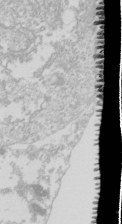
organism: Drosophila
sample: Cell division; meiosis; drosophila spermatocytes